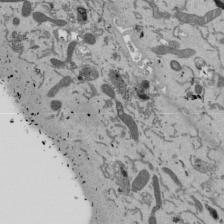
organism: Mouse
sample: ED-1 cell nuclei; centrioles